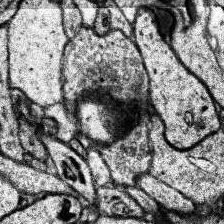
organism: Human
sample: Temporal Lobe